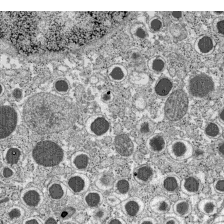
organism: C57BL Mouse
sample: Pancreatic islet